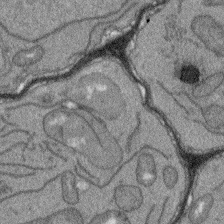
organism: Arabidopsis thaliana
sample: Root tip